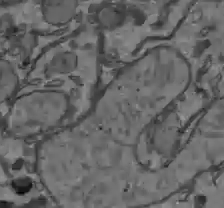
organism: C57BL Mouse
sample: Liver